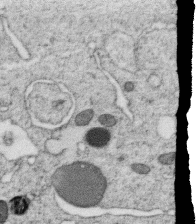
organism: C. elegans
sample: C. elegans oocyte; sperm cells